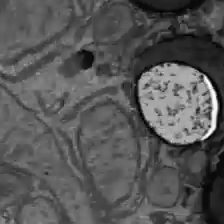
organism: C57BL Mouse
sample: Liver